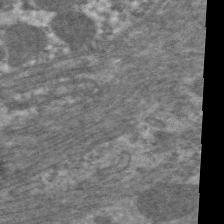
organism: C. elegans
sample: Pharynx